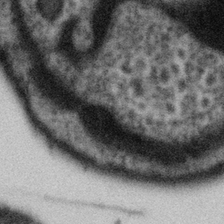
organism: Gemmata obscuriglobus